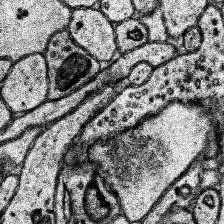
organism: Human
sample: Temporal Lobe